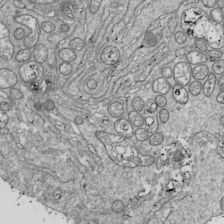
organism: Drosophila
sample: Cell division; meiosis; drosophila spermatocytes